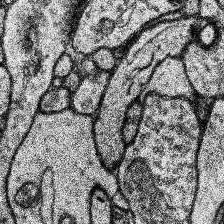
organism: Human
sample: Temporal Lobe